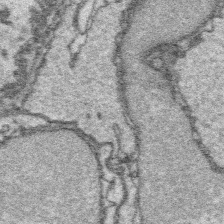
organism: Platynereis dumerilii